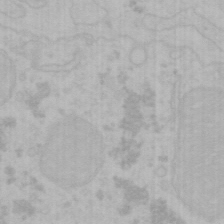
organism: Mouse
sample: Choroid plexus